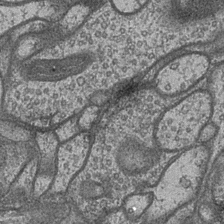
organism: Drosophila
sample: Optic medulla